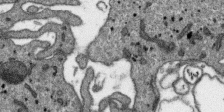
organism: Human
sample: Lung epithelial cells, uninfected (mock) control